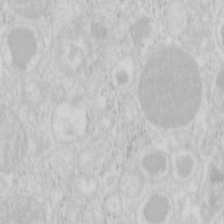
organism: Mouse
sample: Pancreas